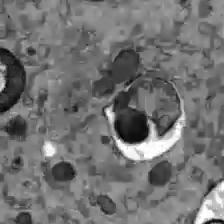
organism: C57BL Mouse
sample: Liver